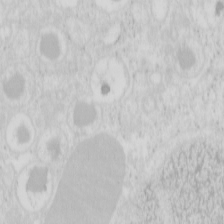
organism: Mouse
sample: Pancreas